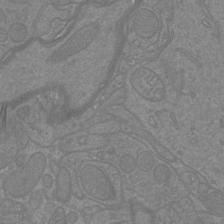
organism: Mouse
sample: Cortical neurons